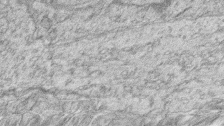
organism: Zebrafish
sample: synaptic ribbons in rod cells and cone cells